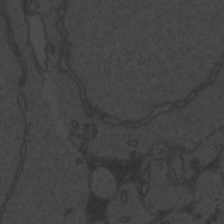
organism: Zebrafish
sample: Macrophage infected with Toxoplasma gondii